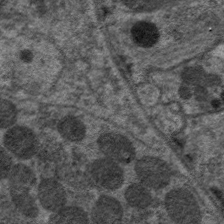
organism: C. elegans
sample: Pharynx